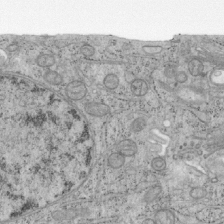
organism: Human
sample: HeLa cells